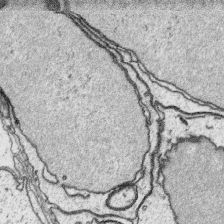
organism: Platynereis dumerilii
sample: Parapodia